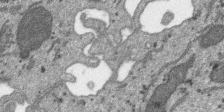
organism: Human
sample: Lung epithelial cells infected with SARS-CoV-2